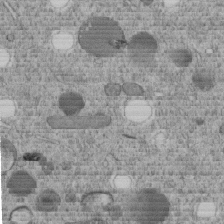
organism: C. elegans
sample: C. elegans embryo early stage